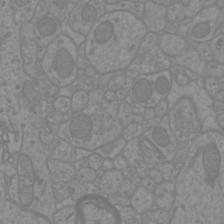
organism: Mouse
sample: Cortical neurons